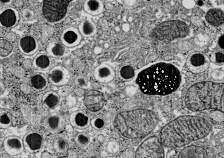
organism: C57BL Mouse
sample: Pancreatic islet